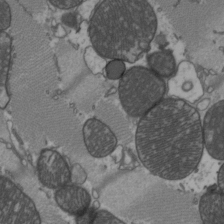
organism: C57BL Mouse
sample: Heart